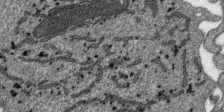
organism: Human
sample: Lung epithelial cells infected with SARS-CoV-2